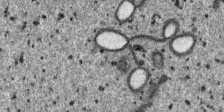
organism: Human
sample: Lung epithelial cells infected with SARS-CoV-2